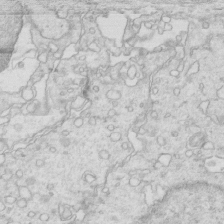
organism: Mouse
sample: Multiciliated cells